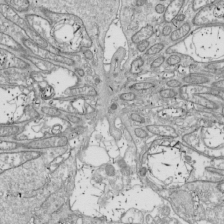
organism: Drosophila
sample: Cell division; meiosis; drosophila spermatocytes